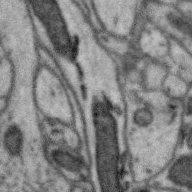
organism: Zebra finch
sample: Brain